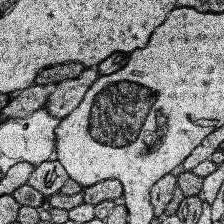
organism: Human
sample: Temporal Lobe